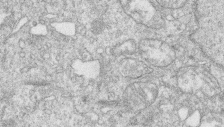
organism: Human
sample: HeLa cell HIV synapse